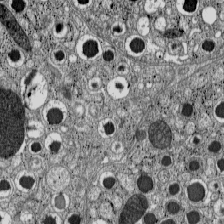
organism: C57BL Mouse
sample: Pancreatic islet